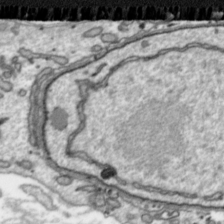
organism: Toxoplasma gondii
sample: Parasites in a vacuole inside a host cell